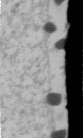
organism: Human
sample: U2-OS cells